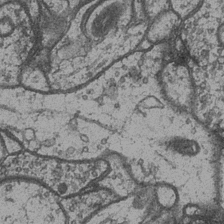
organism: Drosophila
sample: Optic medulla